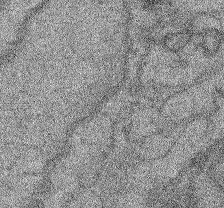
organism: Human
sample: HeLa cells